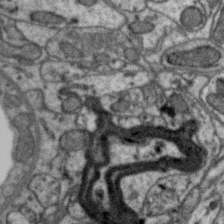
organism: Zebra finch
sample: Brain